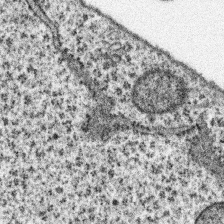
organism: Human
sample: HeLa cells